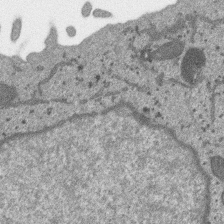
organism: Human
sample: Lung epithelial cells infected with SARS-CoV-2